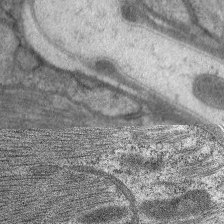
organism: C. elegans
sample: Pharynx